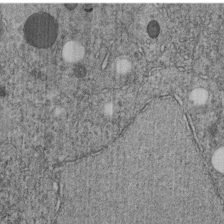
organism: C. elegans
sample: C. elegans embryo early stage